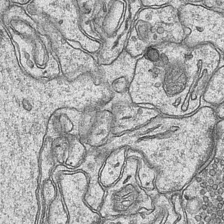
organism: Mouse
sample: CA1 Hippocampus